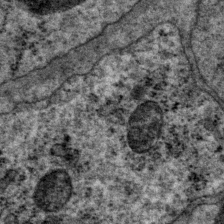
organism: P. pacificus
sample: Pharynx